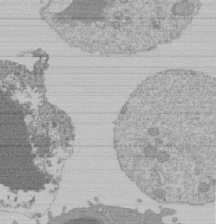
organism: Mouse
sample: Activated Pmel transgenic CD8+ T Cells